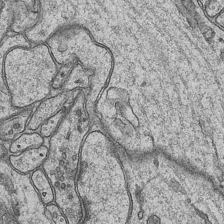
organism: Mouse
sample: CA1 Hippocampus